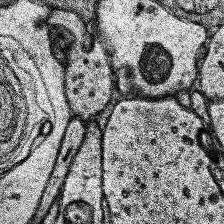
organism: Human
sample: Temporal Lobe